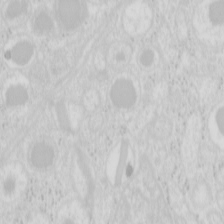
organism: Mouse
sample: Pancreas